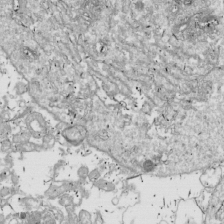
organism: Drosophila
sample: Cell division; meiosis; drosophila spermatocytes